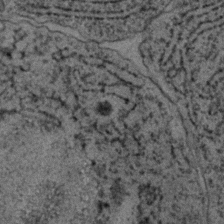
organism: C. elegans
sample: C. elegans embryo